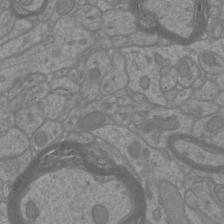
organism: Mouse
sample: Cortical neurons